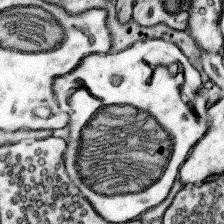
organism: Mouse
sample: Somatosensory cortex neuropil